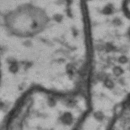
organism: Drosophila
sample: Brain